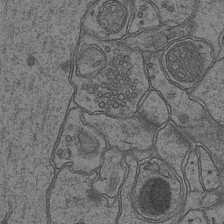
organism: Mouse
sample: CA1 Hippocampus